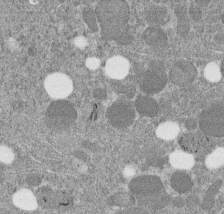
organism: C. elegans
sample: C. elegans embryo early stage